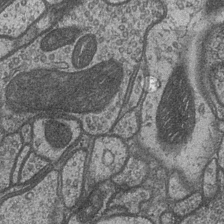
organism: Drosophila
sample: Optic medulla